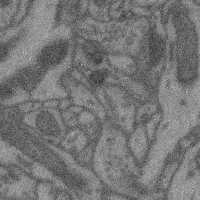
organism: Mouse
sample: Cerebral cortex